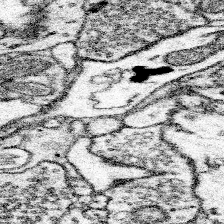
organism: Mouse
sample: Somatosensory cortex neuropil